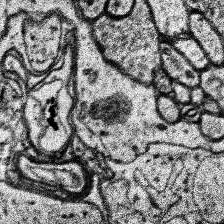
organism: Human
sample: Temporal Lobe